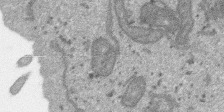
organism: Human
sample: Lung epithelial cells infected with SARS-CoV-2